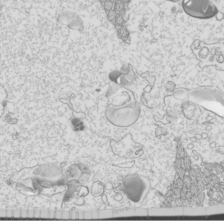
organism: Mouse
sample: Cilia; mouse epididymis